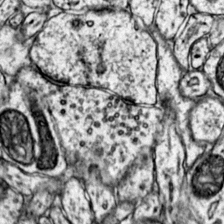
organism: Mouse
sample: Primary visual cortex